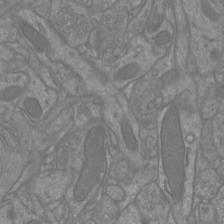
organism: Mouse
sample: Cortical neurons